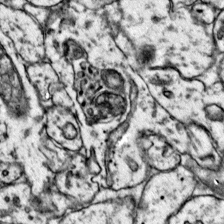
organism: Mouse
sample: Primary visual cortex